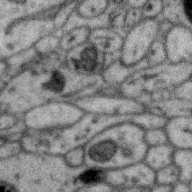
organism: Zebra finch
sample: Brain